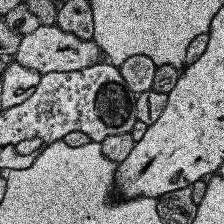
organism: Human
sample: Temporal Lobe